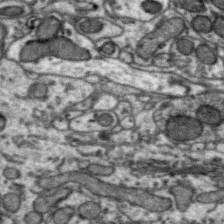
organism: Zebra finch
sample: Brain